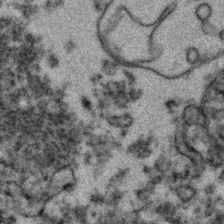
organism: Zebrafish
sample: Zebrafish embryo